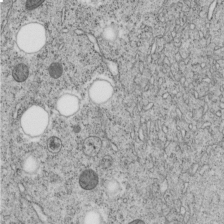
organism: C. elegans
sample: C. elegans embryo early stage